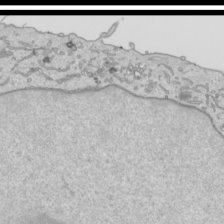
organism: Human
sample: Mitochondria in HCT116 cells